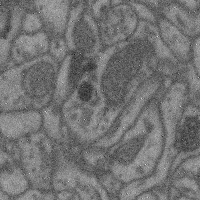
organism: Mouse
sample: Cerebral cortex